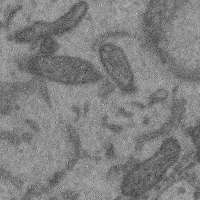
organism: Mouse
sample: Cerebral cortex